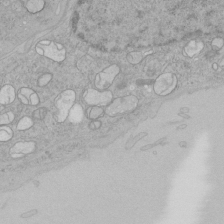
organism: Human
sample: Mitochondria in HCT116 cells